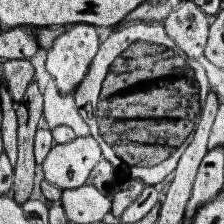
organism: Human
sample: Temporal Lobe